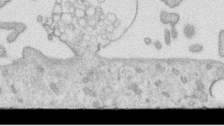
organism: Human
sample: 1205lu cells